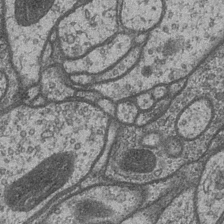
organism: Drosophila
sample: Optic medulla